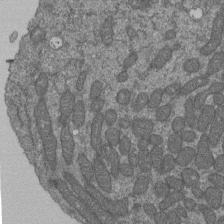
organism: Human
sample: Retinal organoid Rod and Cone cells